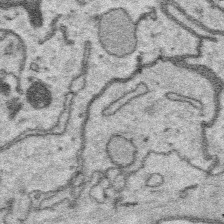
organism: Platynereis dumerilii